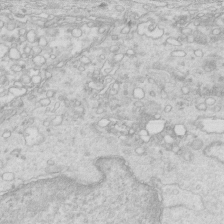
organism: Mouse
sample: Multiciliated cells